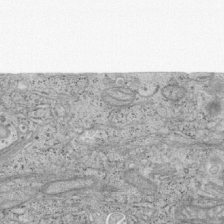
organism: Human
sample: HeLa cells